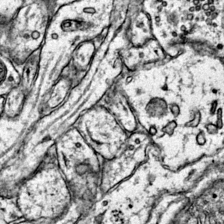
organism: Mouse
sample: Primary visual cortex